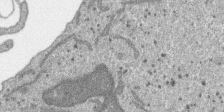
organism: Human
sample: Lung epithelial cells infected with SARS-CoV-2